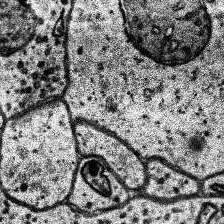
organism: Human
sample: Temporal Lobe